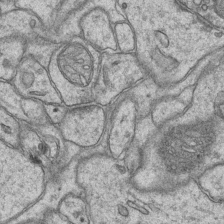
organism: Mouse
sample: CA1 Hippocampus